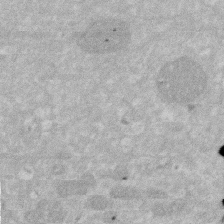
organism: Human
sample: HIV infected U937 cells